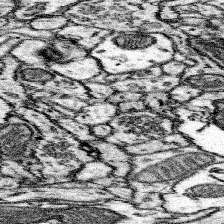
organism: Mouse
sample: Somatosensory cortex neuropil